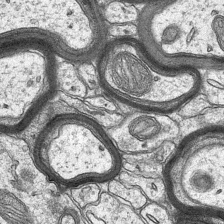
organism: Mouse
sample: CA1 Hippocampus